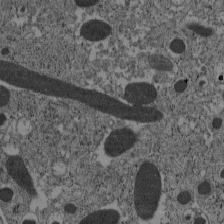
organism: C57BL Mouse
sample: Pancreatic islet